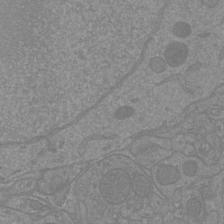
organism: Mouse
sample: Cortical neurons